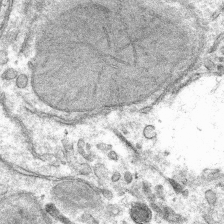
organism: Mouse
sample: Mouse hepatocytes